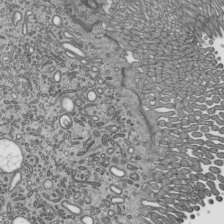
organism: Mouse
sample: Mouse epididymis efferent ductule cilia